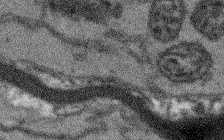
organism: Arabidopsis thaliana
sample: Root tip